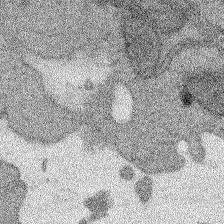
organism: Human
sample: HeLa cells